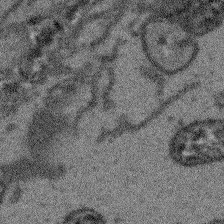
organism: Arabidopsis thaliana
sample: Root tip